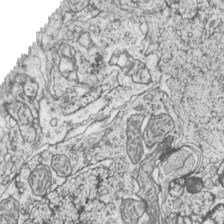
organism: Zebrafish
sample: synaptic ribbons in rod cells and cone cells